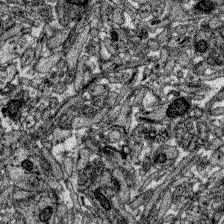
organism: Zebrafish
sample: Larval olfactory bulb